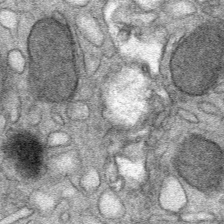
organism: Mouse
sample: Mouse Salivary gland